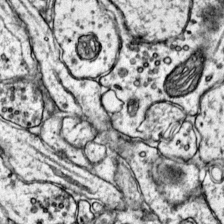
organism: Mouse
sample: Primary visual cortex